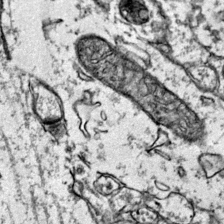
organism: Mouse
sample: Primary visual cortex